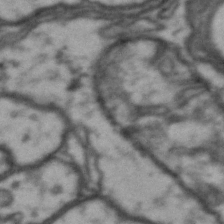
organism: Drosophila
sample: Brain